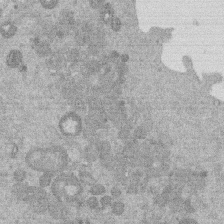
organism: Mouse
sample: Dividing mouse embryo 1 cell stage